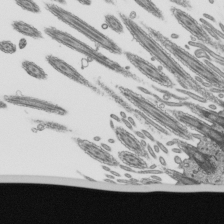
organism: Mouse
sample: Mouse epididymis efferent ductule cilia